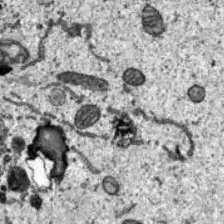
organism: Human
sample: HeLa cells